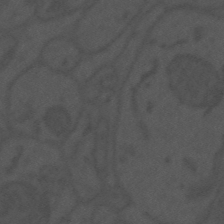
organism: Mouse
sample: Suprachiasmatic nucleus